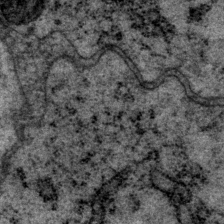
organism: P. pacificus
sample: Pharynx